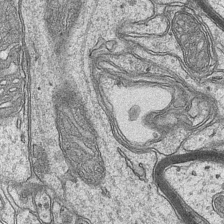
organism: Mouse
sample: CA1 Hippocampus